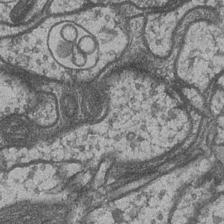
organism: Drosophila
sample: Optic medulla